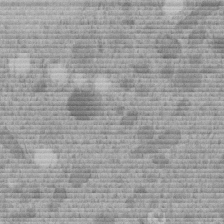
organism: C. elegans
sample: C. elegans embryo early stage